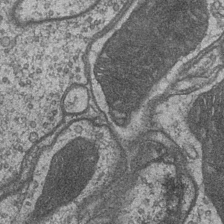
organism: Drosophila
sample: Optic medulla